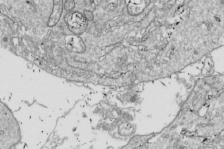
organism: Drosophila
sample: Cell division; meiosis; drosophila spermatocytes